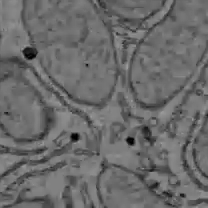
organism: C57BL Mouse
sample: Liver